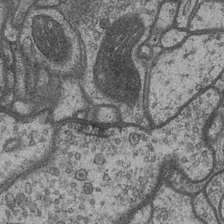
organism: Drosophila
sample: Optic medulla